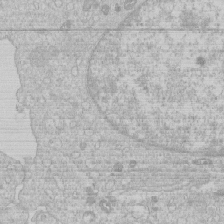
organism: Human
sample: Macrophage cells